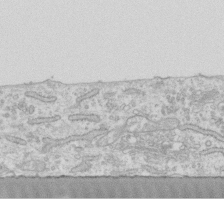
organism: Human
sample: Fibroblast cells